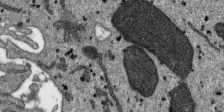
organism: Human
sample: Lung epithelial cells, uninfected (mock) control